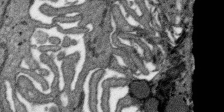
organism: Human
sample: Lung epithelial cells, uninfected (mock) control